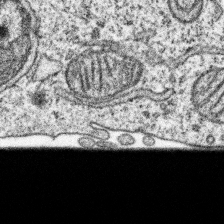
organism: Human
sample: HeLa cells